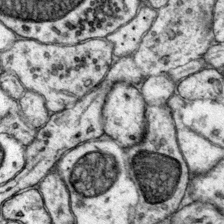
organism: Mouse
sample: Primary visual cortex